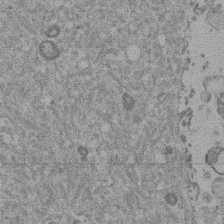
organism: Mouse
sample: Dividing mouse embryo 1 cell stage